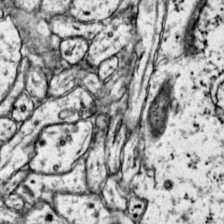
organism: Mouse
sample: Primary visual cortex